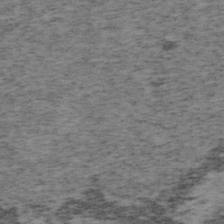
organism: Mouse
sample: OT-I killer T cells with ID8 ovarian cancer cells